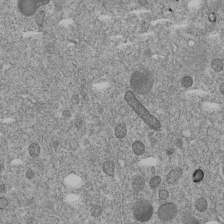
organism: C. elegans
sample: C. elegans embryo early stage